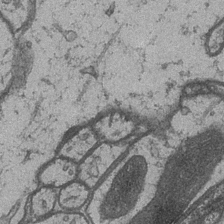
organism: Drosophila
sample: Optic medulla